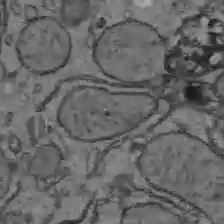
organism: C57BL Mouse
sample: Liver